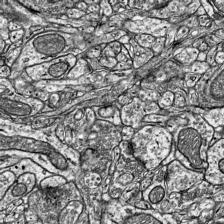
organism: Mouse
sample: Visual Cortex